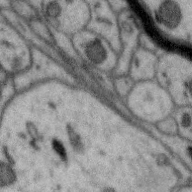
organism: Zebra finch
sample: Brain